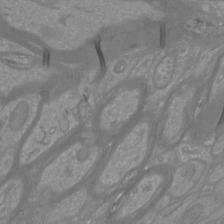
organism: Mouse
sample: Cortical neurons